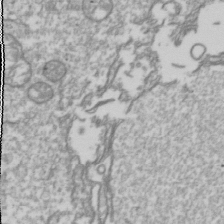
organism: Drosophila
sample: Cell division; meiosis; drosophila spermatocytes